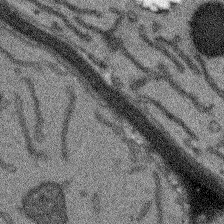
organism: Arabidopsis thaliana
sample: Root tip